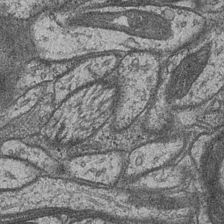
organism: Drosophila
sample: Optic medulla